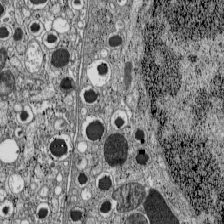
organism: C57BL Mouse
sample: Pancreatic islet